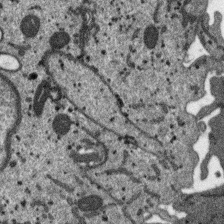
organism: Human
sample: Lung epithelial cells infected with SARS-CoV-2